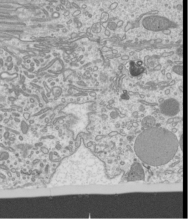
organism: Mouse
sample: Cilia; mouse epididymis